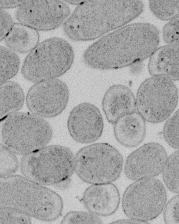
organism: E. coli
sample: Bacterial nucleoid